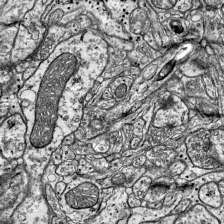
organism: Mouse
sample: Visual Cortex